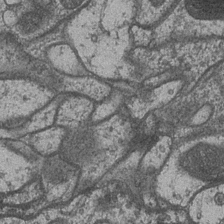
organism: Drosophila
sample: Optic medulla